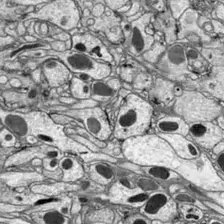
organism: Drosophila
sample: Optic lobe